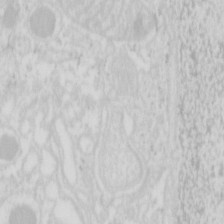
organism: Mouse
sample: Pancreas